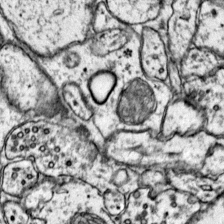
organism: Mouse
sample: Primary visual cortex